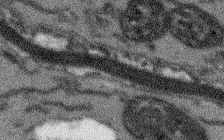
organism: Arabidopsis thaliana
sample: Root tip